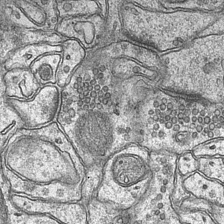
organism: Mouse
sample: CA1 Hippocampus